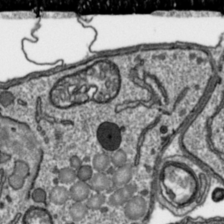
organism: Toxoplasma gondii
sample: Parasites in a vacuole inside a host cell